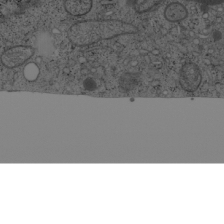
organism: African green monkey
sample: COS-7 cells